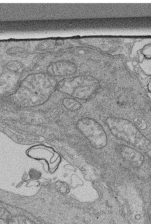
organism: Human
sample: Retinal organoid Rod and Cone cells